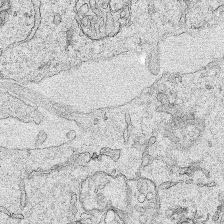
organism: Human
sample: Mitochondria in HCT116 cells